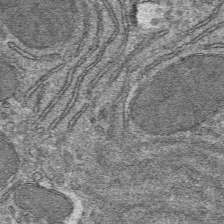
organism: Mouse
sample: Mouse hepatocytes